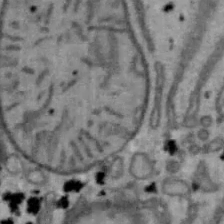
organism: Mouse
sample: Liver